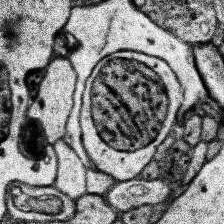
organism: Human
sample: Temporal Lobe